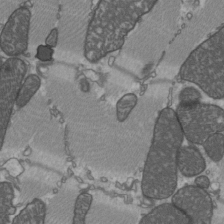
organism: C57BL Mouse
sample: Heart